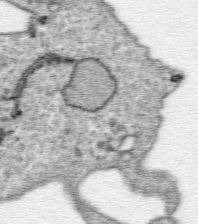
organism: Human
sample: HeLa cells